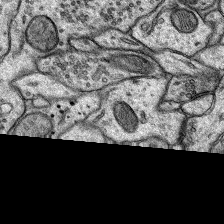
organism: Rat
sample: Hippocampus